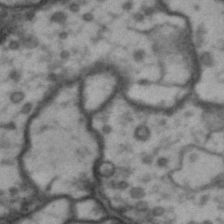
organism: Drosophila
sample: Brain